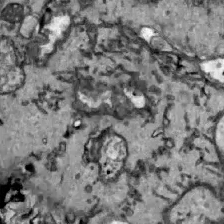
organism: Zebrafish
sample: Actinotrichia fibers